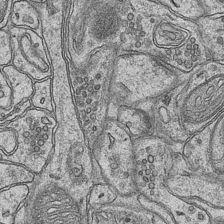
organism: Mouse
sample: CA1 Hippocampus